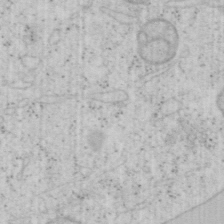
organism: Human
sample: HeLa cells